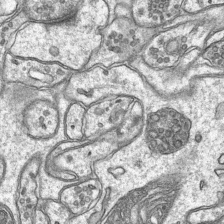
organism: Mouse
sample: CA1 Hippocampus